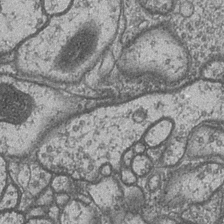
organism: Drosophila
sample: Optic medulla